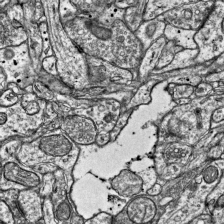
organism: Mouse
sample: Visual Cortex